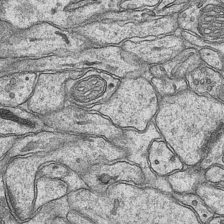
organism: Mouse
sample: CA1 Hippocampus